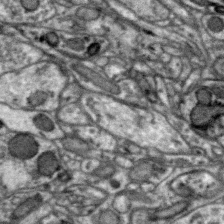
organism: Zebra finch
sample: Brain